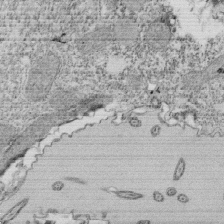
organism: Tetrahymena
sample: Cilia in tetrahymena